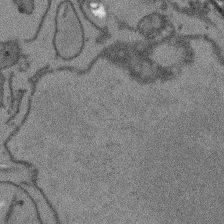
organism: Arabidopsis thaliana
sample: Root tip